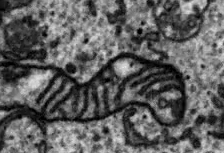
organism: Human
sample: HeLa cells